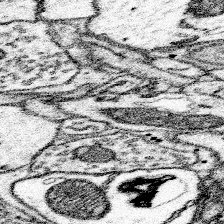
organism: Mouse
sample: Somatosensory cortex neuropil